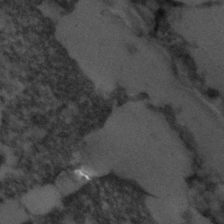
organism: C. elegans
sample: C. elegans embryo